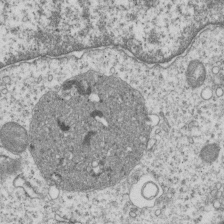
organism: Human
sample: MDA-MB-231 cells